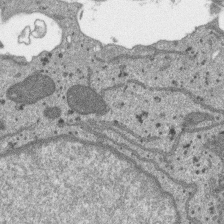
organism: Human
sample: Lung epithelial cells infected with SARS-CoV-2